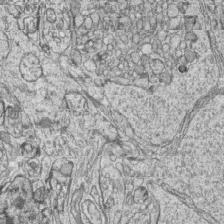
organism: Zebrafish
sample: synaptic ribbons in rod cells and cone cells